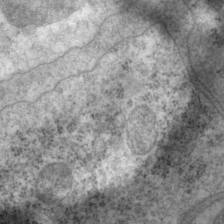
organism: P. pacificus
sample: Pharynx